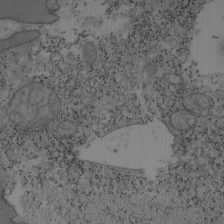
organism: Mouse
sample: OT-I killer T cells with ID8 ovarian cancer cells